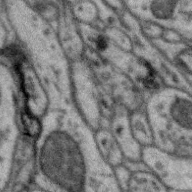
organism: Zebra finch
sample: Brain